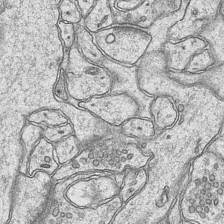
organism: Mouse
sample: CA1 Hippocampus